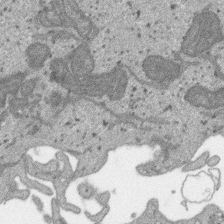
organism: Human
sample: Lung epithelial cells infected with SARS-CoV-2